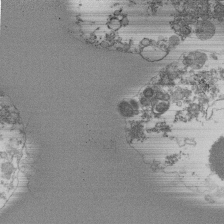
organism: Mouse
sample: Activated Pmel transgenic CD8+ T Cells